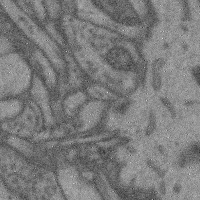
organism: Mouse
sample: Cerebral cortex